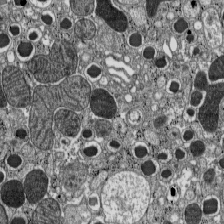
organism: C57BL Mouse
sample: Pancreatic islet